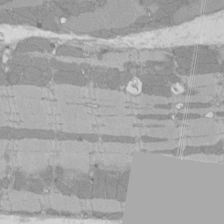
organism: Rat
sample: Left ventricle